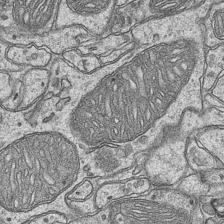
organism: Mouse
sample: CA1 Hippocampus